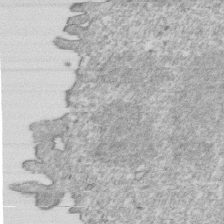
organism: Mouse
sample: Activated OT-1 CD8+ T cells